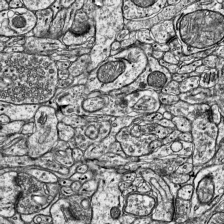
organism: Mouse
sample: Visual Cortex